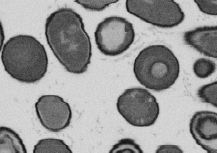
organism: B. subtilis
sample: Bacterial spore